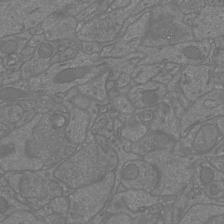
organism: Mouse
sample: Cortical neurons